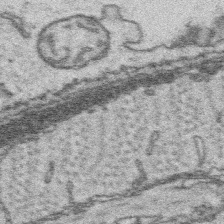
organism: Platynereis dumerilii